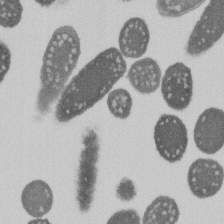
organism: E. coli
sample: Bacterial nucleoid